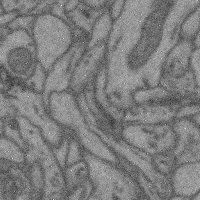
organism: Mouse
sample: Cerebral cortex